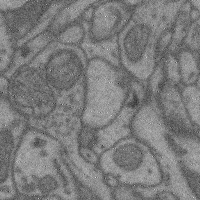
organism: Mouse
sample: Cerebral cortex